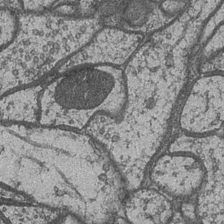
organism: Drosophila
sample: Optic medulla